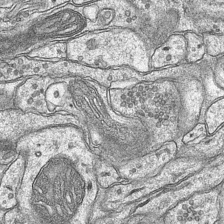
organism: Mouse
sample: CA1 Hippocampus